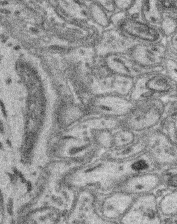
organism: Mouse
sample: Retina